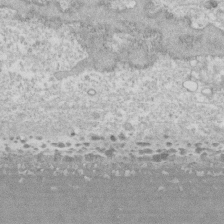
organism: Human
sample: CRL-1474